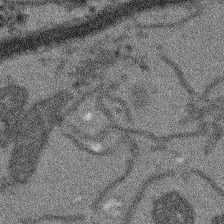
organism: Arabidopsis thaliana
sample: Root tip